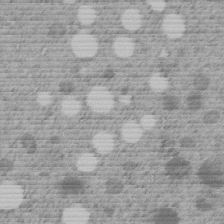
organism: C. elegans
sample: C. elegans embryo early stage